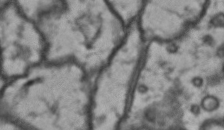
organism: Drosophila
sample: Brain